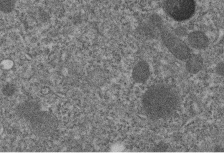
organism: C. elegans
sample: C. elegans embryo early stage